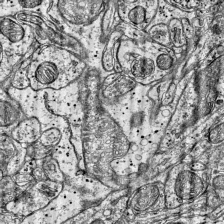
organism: Mouse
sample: Visual Cortex